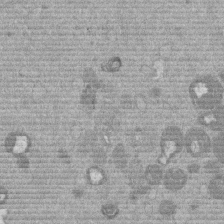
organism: Mouse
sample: Dividing mouse embryo 1 cell stage